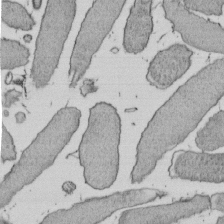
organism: E. coli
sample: Bacterial nucleoid